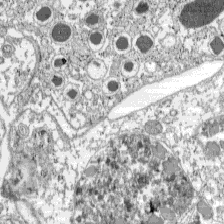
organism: C57BL Mouse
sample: Pancreatic islet